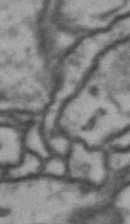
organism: Drosophila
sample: Brain